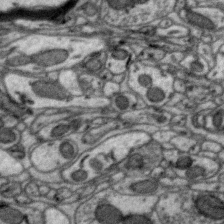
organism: Zebra finch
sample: Brain